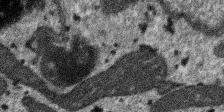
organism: Human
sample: Lung epithelial cells infected with SARS-CoV-2